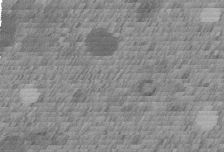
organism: C. elegans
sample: C. elegans embryo early stage